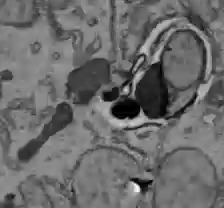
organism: C57BL Mouse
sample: Liver